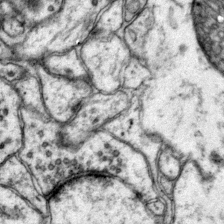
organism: Mouse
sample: Primary visual cortex